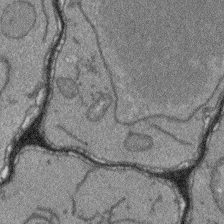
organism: Arabidopsis thaliana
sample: Root tip